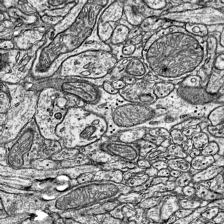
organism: Mouse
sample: Visual Cortex